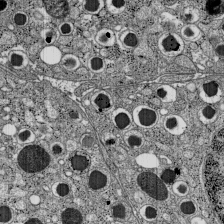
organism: C57BL Mouse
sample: Pancreatic islet